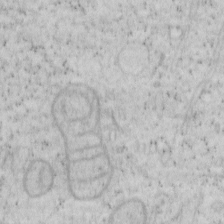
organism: Human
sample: HeLa cells